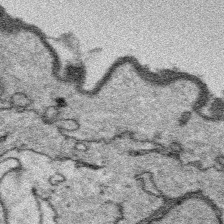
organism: Platynereis dumerilii